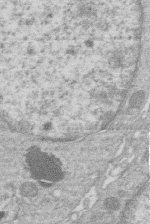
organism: Human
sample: Macrophage cells